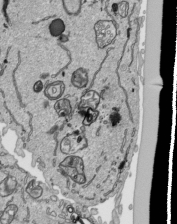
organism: Human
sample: Mitochondria in HCT116 cells